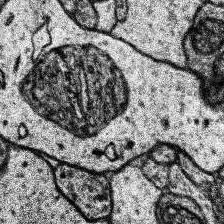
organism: Human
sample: Temporal Lobe